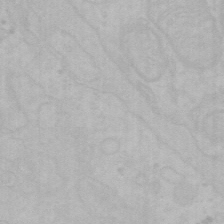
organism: Mouse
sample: Choroid plexus